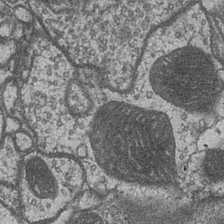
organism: Drosophila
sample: Optic medulla